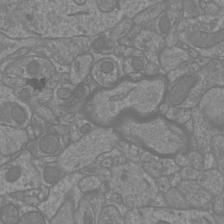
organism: Mouse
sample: Cortical neurons